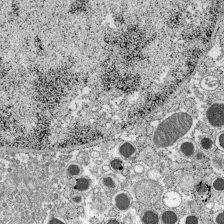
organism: C57BL Mouse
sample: Pancreatic islet